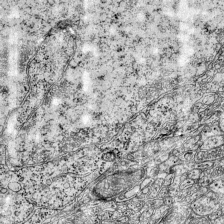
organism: Mouse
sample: Visual Cortex